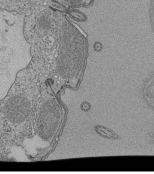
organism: Tetrahymena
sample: Cilia in tetrahymena